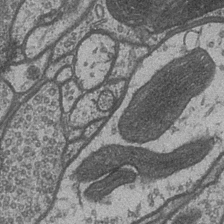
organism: Drosophila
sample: Optic medulla